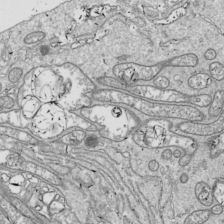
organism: Drosophila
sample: Cell division; meiosis; drosophila spermatocytes